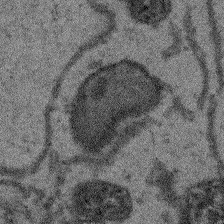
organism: Arabidopsis thaliana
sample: Root tip